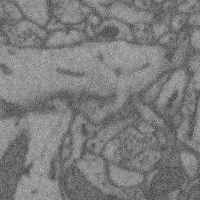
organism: Mouse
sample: Cerebral cortex